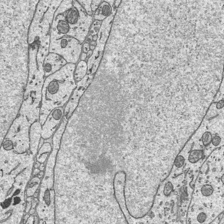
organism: Mouse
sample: Suprachiasmatic nucleus